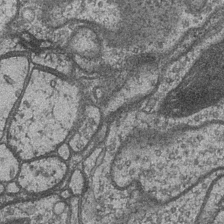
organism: Drosophila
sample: Optic medulla